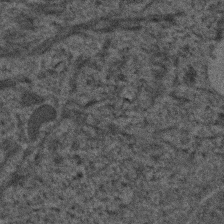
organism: Human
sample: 1205lu cells